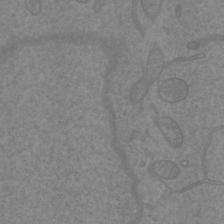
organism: Mouse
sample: Cortical neurons